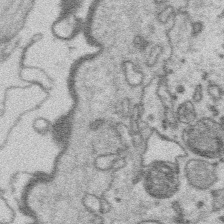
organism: Platynereis dumerilii